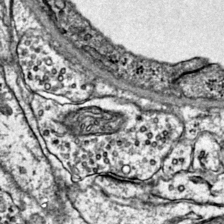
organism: Mouse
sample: Primary visual cortex